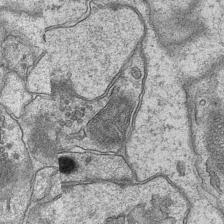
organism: Mouse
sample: CA1 Hippocampus